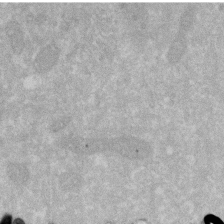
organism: Human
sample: HIV infected U937 cells